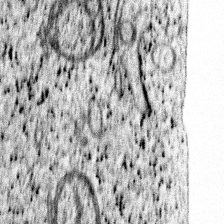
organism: Human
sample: HeLa cells